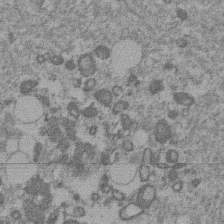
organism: Mouse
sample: Dividing mouse embryo 1 cell stage